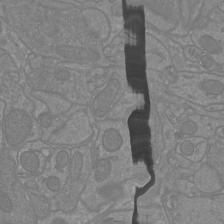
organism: Mouse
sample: Cortical neurons